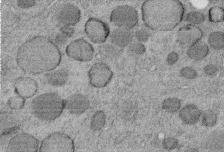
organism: C. elegans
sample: C. elegans embryo early stage